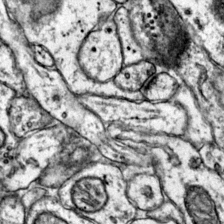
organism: Mouse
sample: Primary visual cortex